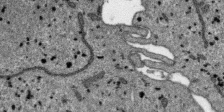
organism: Human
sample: Lung epithelial cells, uninfected (mock) control